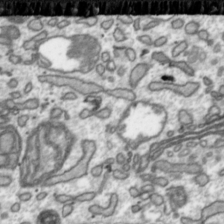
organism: Toxoplasma gondii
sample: Parasites in a vacuole inside a host cell